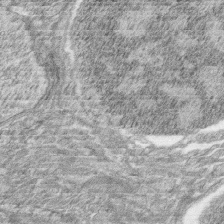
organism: Zebrafish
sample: synaptic ribbons in rod cells and cone cells